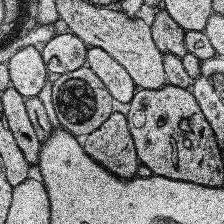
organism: Human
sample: Temporal Lobe